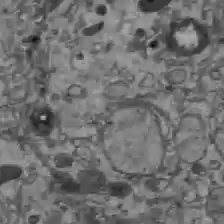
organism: C57BL Mouse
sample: Liver